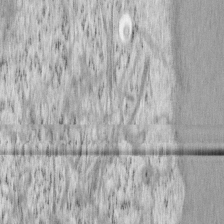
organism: Human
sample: HeLa cells